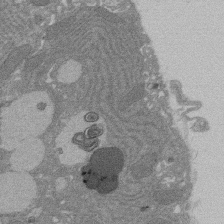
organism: Rat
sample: Salivary granule